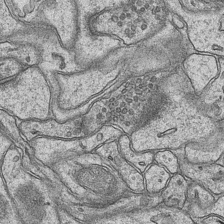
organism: Mouse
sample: CA1 Hippocampus